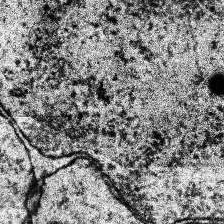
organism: Human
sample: Temporal Lobe